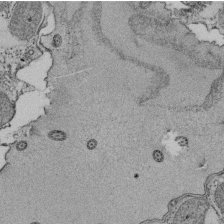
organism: Tetrahymena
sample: Cilia in tetrahymena